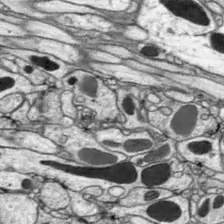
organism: Drosophila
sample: Optic lobe